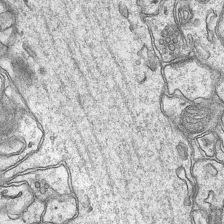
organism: Mouse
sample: CA1 Hippocampus